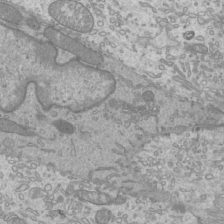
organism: Mouse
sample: Cilia; mouse epididymis